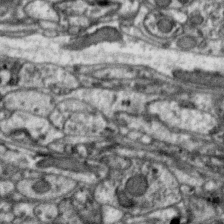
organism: Zebra finch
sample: Brain